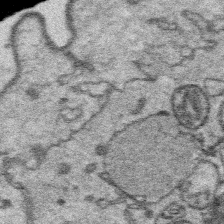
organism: Platynereis dumerilii